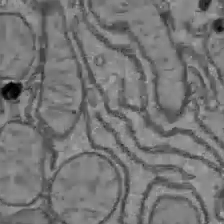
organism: C57BL Mouse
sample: Liver